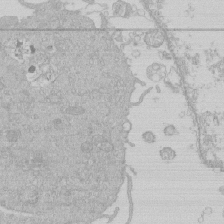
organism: Human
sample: Macrophage cells